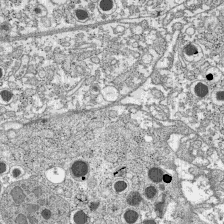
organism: C57BL Mouse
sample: Pancreatic islet